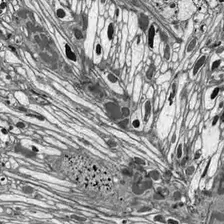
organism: Drosophila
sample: Optic lobe